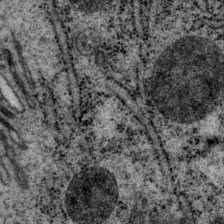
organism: P. pacificus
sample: Pharynx